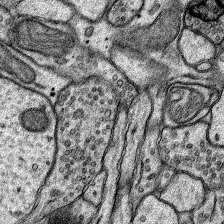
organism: Rat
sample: Hippocampus